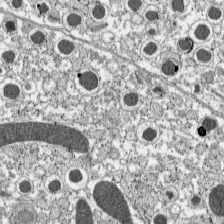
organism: C57BL Mouse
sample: Pancreatic islet